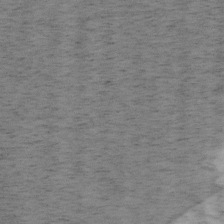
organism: Mouse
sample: OT-I killer T cells with ID8 ovarian cancer cells